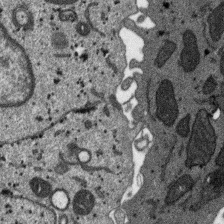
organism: Human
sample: Lung epithelial cells infected with SARS-CoV-2